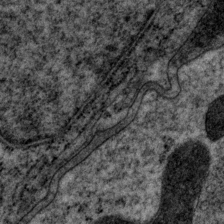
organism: P. pacificus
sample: Pharynx